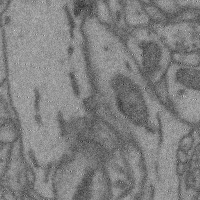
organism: Mouse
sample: Cerebral cortex